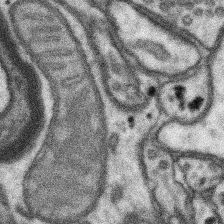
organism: Mouse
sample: Somatosensory cortex neuropil